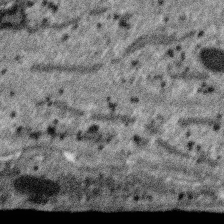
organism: Human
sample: Lung epithelial cells infected with SARS-CoV-2